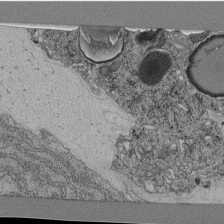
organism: C. elegans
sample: C. elegans pharynx